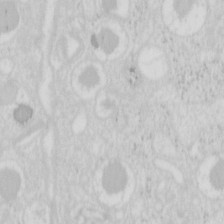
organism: Mouse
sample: Pancreas